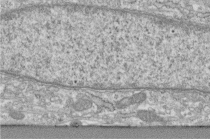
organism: Human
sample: Centriole in fibroblast cells